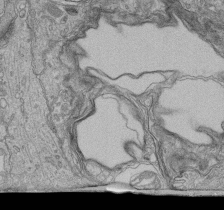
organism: Human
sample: Retinal organoid Rod and Cone cells